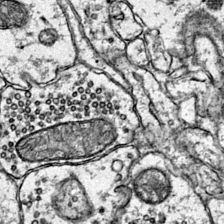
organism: Mouse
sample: Primary visual cortex